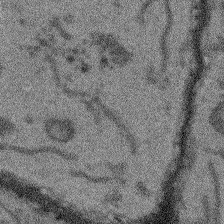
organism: Arabidopsis thaliana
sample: Root tip